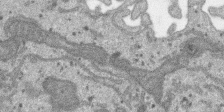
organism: Human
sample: Lung epithelial cells infected with SARS-CoV-2